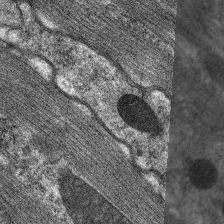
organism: C. elegans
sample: Pharynx